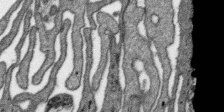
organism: Human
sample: Lung epithelial cells, uninfected (mock) control